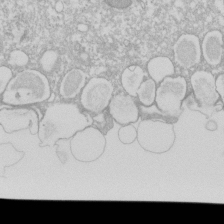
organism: Xenopus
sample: Cilia; centrioles in frog embryo cells